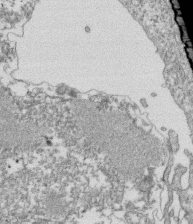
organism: Human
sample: HeLa cell HIV synapse